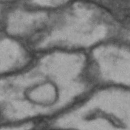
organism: Drosophila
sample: Brain